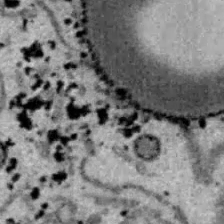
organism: Mouse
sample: Liver from an obese (ob/ob) mouse